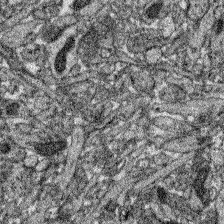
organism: Zebrafish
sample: Larval olfactory bulb